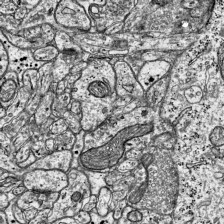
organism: Mouse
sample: Visual Cortex